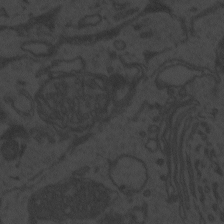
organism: Zebrafish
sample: Macrophage infected with Toxoplasma gondii